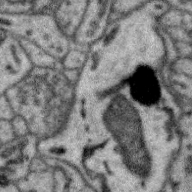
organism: Zebra finch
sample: Brain